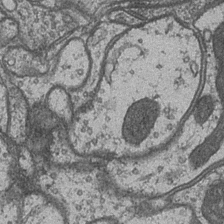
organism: Drosophila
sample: Optic medulla